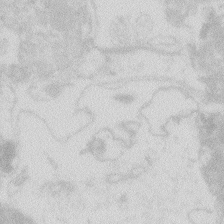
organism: Zebrafish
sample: Macrophage